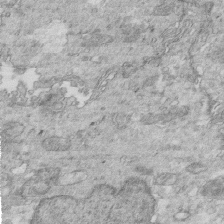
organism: Mouse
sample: Multiciliated cells